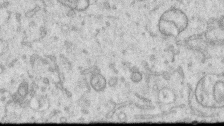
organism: Human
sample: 1205lu cells